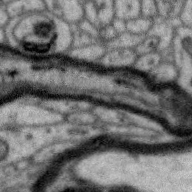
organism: Zebra finch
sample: Brain